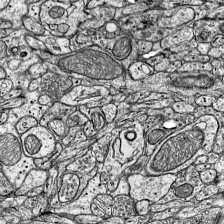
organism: Mouse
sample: Visual Cortex